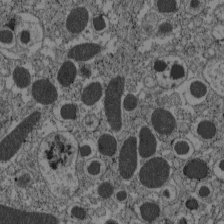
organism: C57BL Mouse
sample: Pancreatic islet